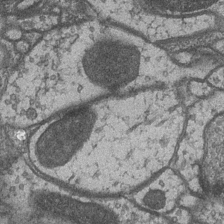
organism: Drosophila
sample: Optic medulla